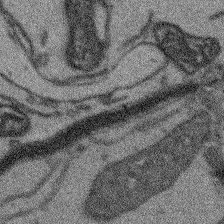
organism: Arabidopsis thaliana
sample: Root tip